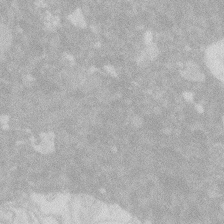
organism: Zebrafish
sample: Macrophage